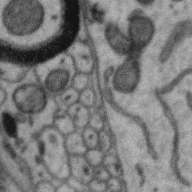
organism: Zebra finch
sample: Brain